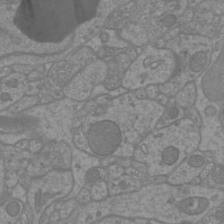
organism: Mouse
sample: Cortical neurons